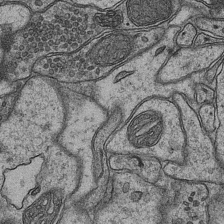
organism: Mouse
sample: CA1 Hippocampus